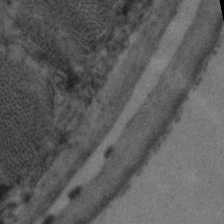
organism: C. elegans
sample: Pharynx